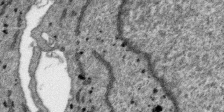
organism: Human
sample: Lung epithelial cells, uninfected (mock) control